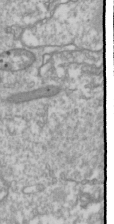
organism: Drosophila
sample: Cell division; meiosis; drosophila spermatocytes